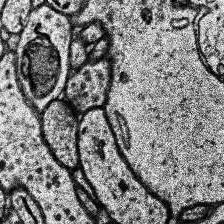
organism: Human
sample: Temporal Lobe